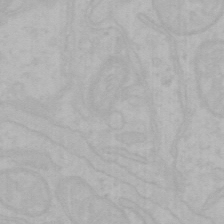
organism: Mouse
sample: Choroid plexus